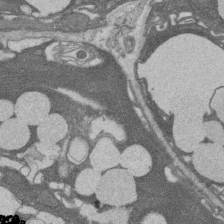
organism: Rat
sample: Salivary granule